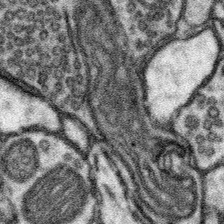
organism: Mouse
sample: Somatosensory cortex neuropil